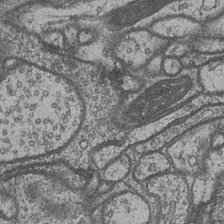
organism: Drosophila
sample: Optic medulla